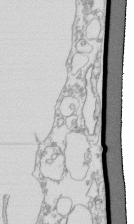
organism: Mouse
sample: Macrophages